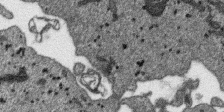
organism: Human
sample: Lung epithelial cells infected with SARS-CoV-2